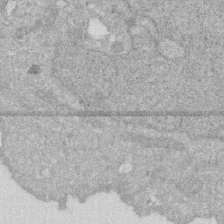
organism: Human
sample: HIV infected U937 cells